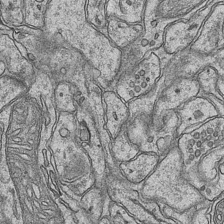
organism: Mouse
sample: CA1 Hippocampus